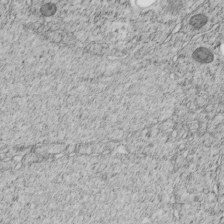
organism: C. elegans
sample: C. elegans embryo early stage